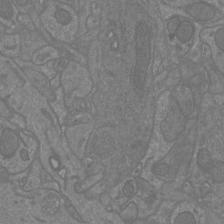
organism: Mouse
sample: Cortical neurons